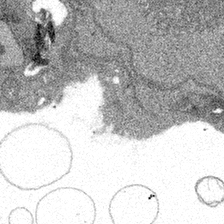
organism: Spongilla lacustris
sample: Multiple